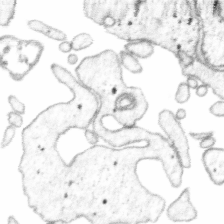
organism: Human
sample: HeLa cells